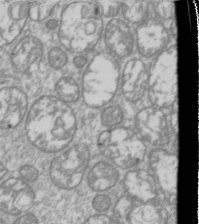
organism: Drosophila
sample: Cell division; meiosis; drosophila spermatocytes